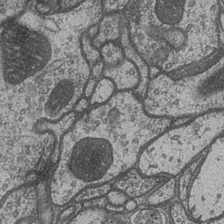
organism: Drosophila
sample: Optic medulla